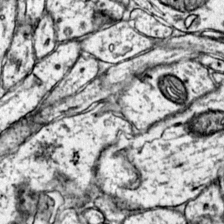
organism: Mouse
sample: Primary visual cortex